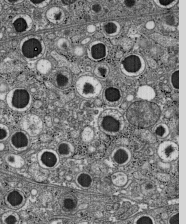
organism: C57BL Mouse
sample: Pancreatic islet